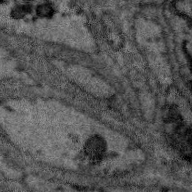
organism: Zebra finch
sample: Brain